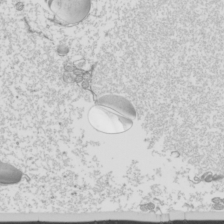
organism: Mouse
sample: Cilia; mouse epididymis